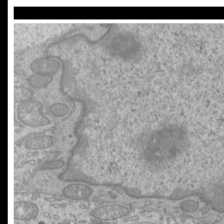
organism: Mouse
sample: Cilia; mouse epididymis